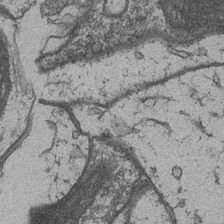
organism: Drosophila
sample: Optic medulla